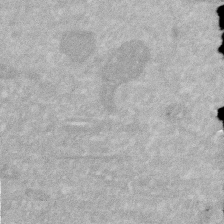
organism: Human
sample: HIV infected U937 cells